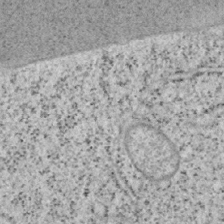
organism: Mouse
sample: OT-I killer T cells with ID8 ovarian cancer cells